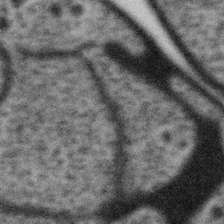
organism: Gemmata obscuriglobus